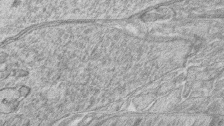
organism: Zebrafish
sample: synaptic ribbons in rod cells and cone cells